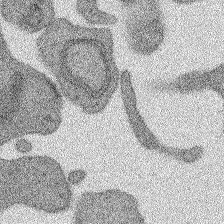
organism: Human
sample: HeLa cells